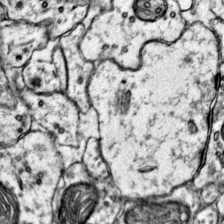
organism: Mouse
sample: Primary visual cortex